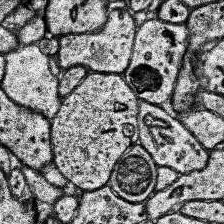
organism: Human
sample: Temporal Lobe